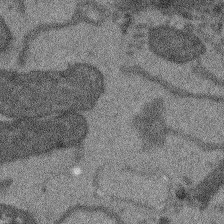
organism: Arabidopsis thaliana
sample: Root tip